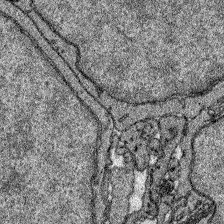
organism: Zebrafish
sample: Larval olfactory bulb